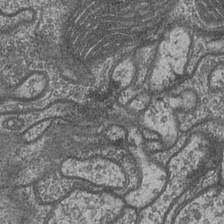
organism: Drosophila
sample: Optic medulla